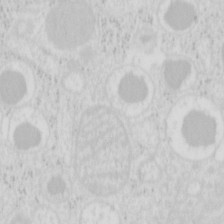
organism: Mouse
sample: Pancreas